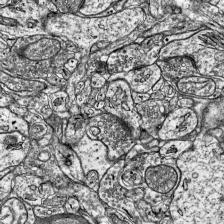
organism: Mouse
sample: Visual Cortex